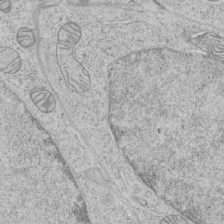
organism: Human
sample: Mitochondria in HCT116 cells